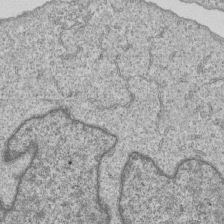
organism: Human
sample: MDA-MB-231 cells